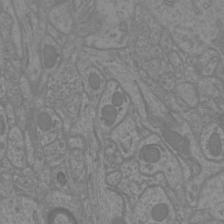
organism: Mouse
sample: Cortical neurons